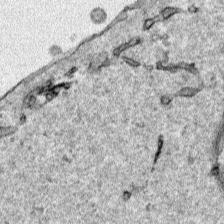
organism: Human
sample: Mitochondria in HCT116 cells